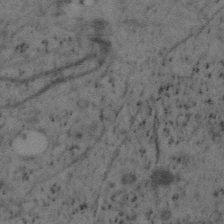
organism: Human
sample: HeLa cells